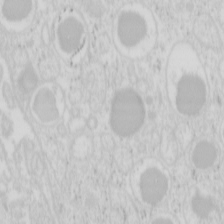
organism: Mouse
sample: Pancreas